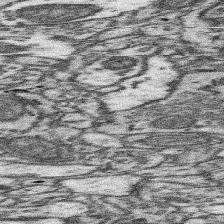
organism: Mouse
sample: Somatosensory cortex neuropil